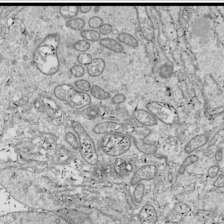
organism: Drosophila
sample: Cell division; meiosis; drosophila spermatocytes